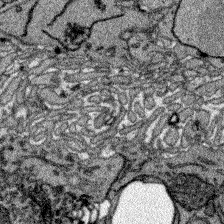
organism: Zebrafish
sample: Larval olfactory bulb